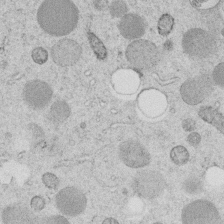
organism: C. elegans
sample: C. elegans embryo early stage